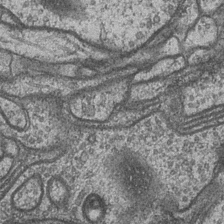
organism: Drosophila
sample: Optic medulla